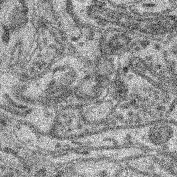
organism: Mouse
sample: Retina